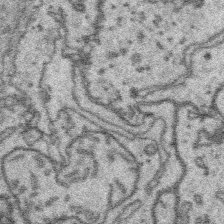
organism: Platynereis dumerilii